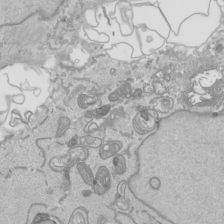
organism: Human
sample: Mitochondria in HCT116 cells